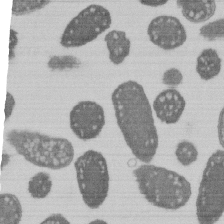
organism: E. coli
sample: Bacterial nucleoid